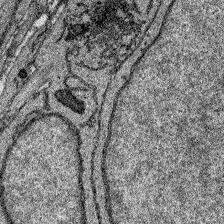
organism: Zebrafish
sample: Larval olfactory bulb